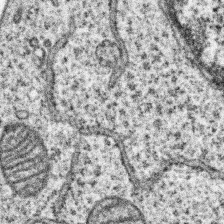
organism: Human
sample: HeLa cells